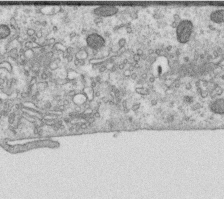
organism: Human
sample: Centriole in RPE cells